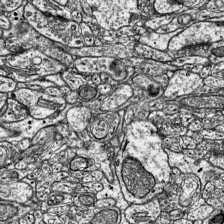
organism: Mouse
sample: Visual Cortex